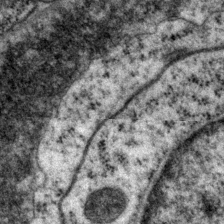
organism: P. pacificus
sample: Pharynx